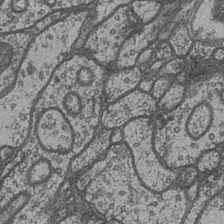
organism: Drosophila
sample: Optic medulla